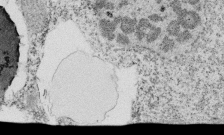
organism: Tetrahymena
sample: Cilia in tetrahymena